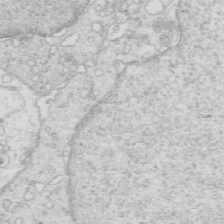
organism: Mouse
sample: Multiciliated cells